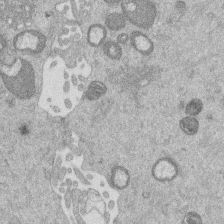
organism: Mouse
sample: Dividing mouse embryo 1 cell stage